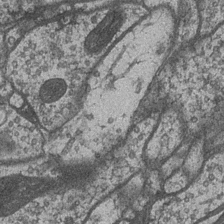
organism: Drosophila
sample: Optic medulla